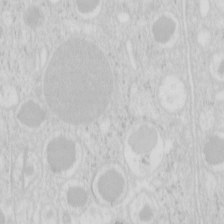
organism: Mouse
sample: Pancreas